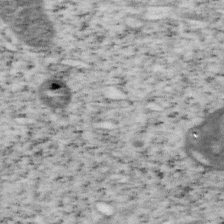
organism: Mouse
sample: OT-I killer T cells with ID8 ovarian cancer cells